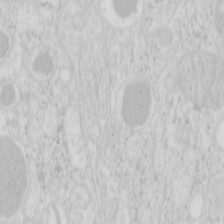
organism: Mouse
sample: Pancreas